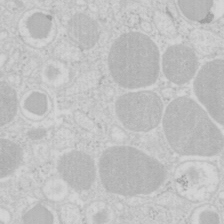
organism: Mouse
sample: Pancreas